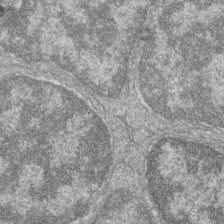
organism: Zebrafish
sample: Cilia; retinal pigment epithelium